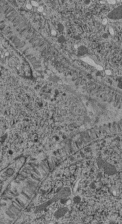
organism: C. elegans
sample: C. elegans pharynx